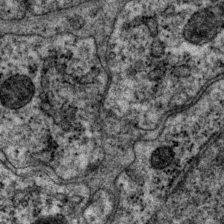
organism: P. pacificus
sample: Pharynx